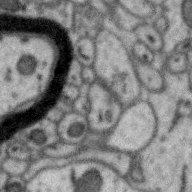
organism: Zebra finch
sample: Brain